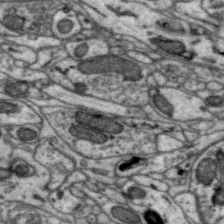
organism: Zebra finch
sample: Brain